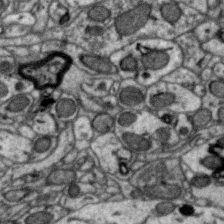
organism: Zebra finch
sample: Brain